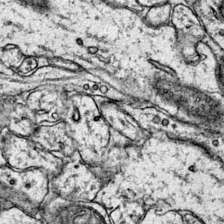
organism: Mouse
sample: Primary visual cortex